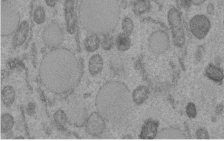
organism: C. elegans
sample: C. elegans embryo early stage